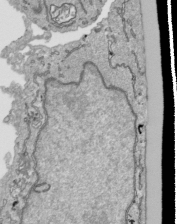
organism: Human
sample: Mitochondria in HCT116 cells